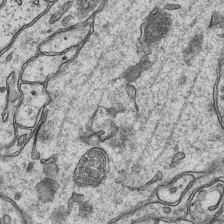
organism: Mouse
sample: CA1 Hippocampus